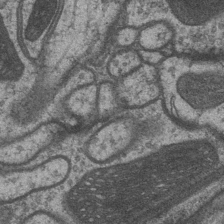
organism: Drosophila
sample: Optic medulla